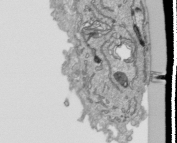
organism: Human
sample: Mitochondria in HCT116 cells